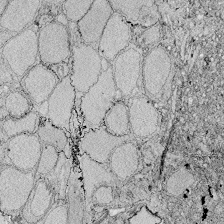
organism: Zebrafish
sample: Whole-Brain